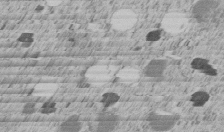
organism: C. elegans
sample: C. elegans embryo early stage